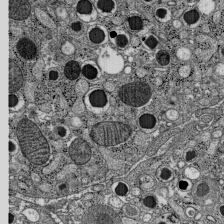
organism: C57BL Mouse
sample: Pancreatic islet